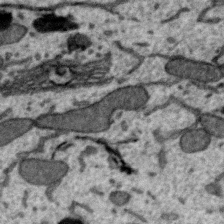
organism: Zebra finch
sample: Brain